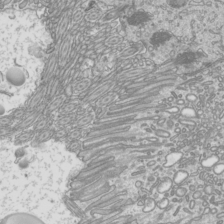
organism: Mouse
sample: Cilia; mouse epididymis